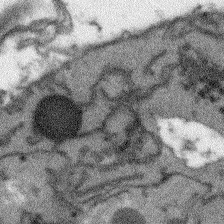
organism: Arabidopsis thaliana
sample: Root tip